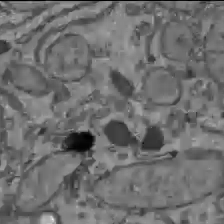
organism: C57BL Mouse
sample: Liver